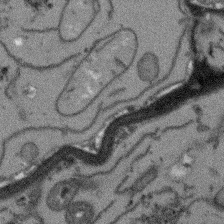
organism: Arabidopsis thaliana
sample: Root tip